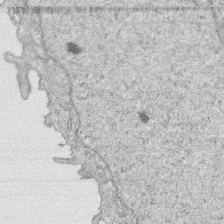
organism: Human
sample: HeLa cell HIV synapse